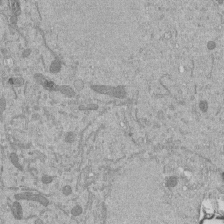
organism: Mouse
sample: ED-1 cell nuclei; centrioles